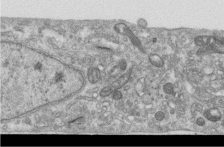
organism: Human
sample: Centriole in RPE cells